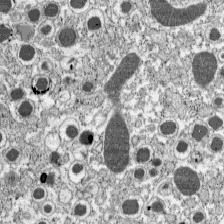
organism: C57BL Mouse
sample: Pancreatic islet